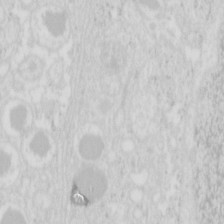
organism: Mouse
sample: Pancreas